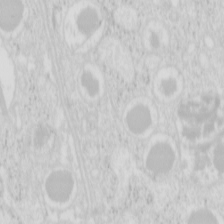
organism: Mouse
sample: Pancreas